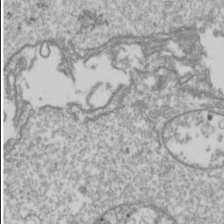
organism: Drosophila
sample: Cell division; meiosis; drosophila spermatocytes